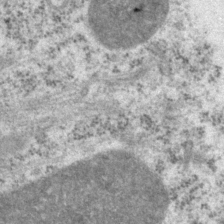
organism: P. pacificus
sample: Pharynx